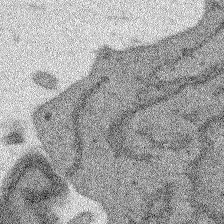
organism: Human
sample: HeLa cells